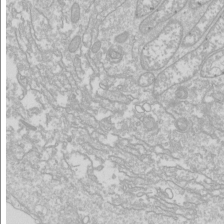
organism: Drosophila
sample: Cell division; meiosis; drosophila spermatocytes